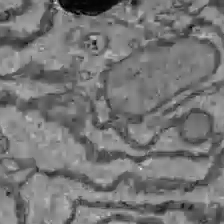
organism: C57BL Mouse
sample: Liver